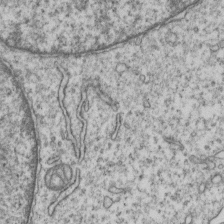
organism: Human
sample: MDA-MB-231 cells